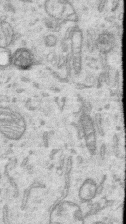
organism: Human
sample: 1205lu cells